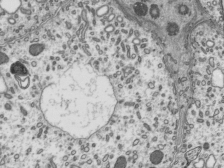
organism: Mouse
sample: Mouse epididymis efferent ductule cilia